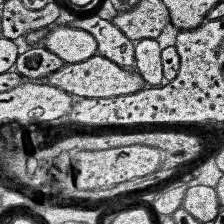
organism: Human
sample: Temporal Lobe